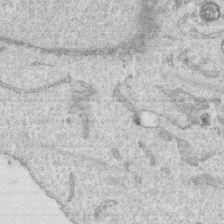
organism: Human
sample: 1205lu cells